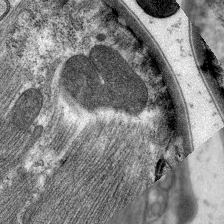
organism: C. elegans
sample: Pharynx